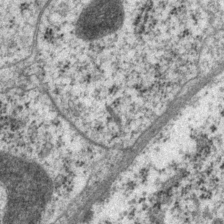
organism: P. pacificus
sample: Pharynx